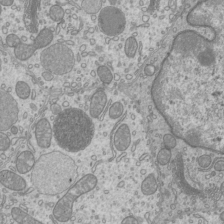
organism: Mouse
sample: Cilia; mouse epididymis